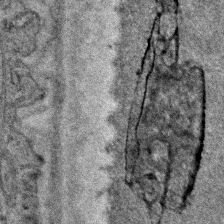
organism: C. elegans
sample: C. elegans embryo